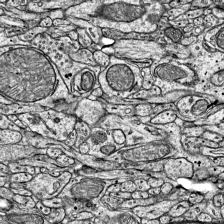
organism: Mouse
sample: Visual Cortex